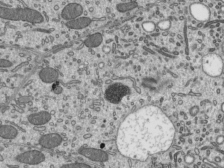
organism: Mouse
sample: Mouse epididymis efferent ductule cilia